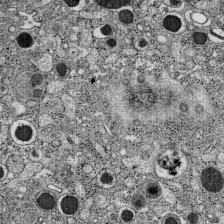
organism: C57BL Mouse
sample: Pancreatic islet